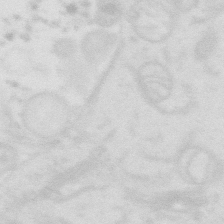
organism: Human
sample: HeLa cells